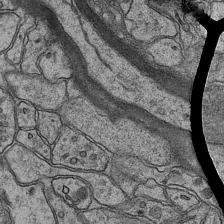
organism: Mouse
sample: CA1 Hippocampus